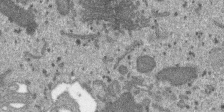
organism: Human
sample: Lung epithelial cells infected with SARS-CoV-2